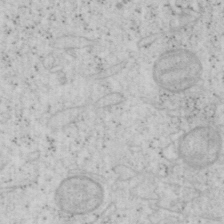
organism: Human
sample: HeLa cells